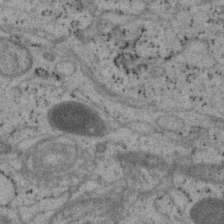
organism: Human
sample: HeLa cells